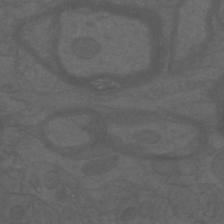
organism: Mouse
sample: Cortical neurons